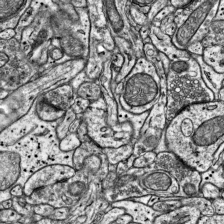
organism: Mouse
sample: Visual Cortex